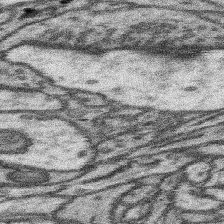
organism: Mouse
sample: Somatosensory cortex neuropil